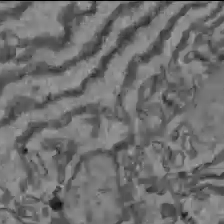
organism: C57BL Mouse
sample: Liver